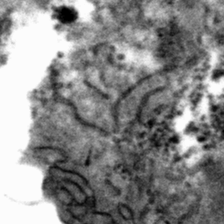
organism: Mouse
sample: Mouse hepatocytes